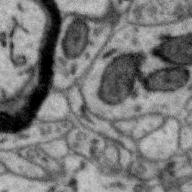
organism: Zebra finch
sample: Brain